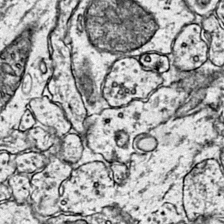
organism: Mouse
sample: Primary visual cortex